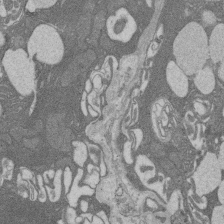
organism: Rat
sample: Salivary granule